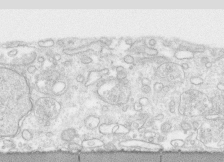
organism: Human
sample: CRL-1474